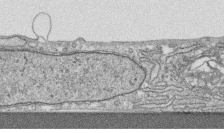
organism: Human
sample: CRL-1474